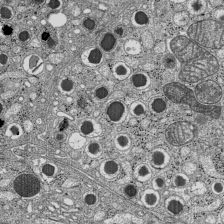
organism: C57BL Mouse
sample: Pancreatic islet